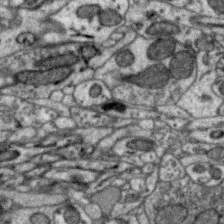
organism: Zebra finch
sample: Brain